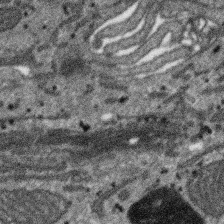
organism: Human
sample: Lung epithelial cells infected with SARS-CoV-2